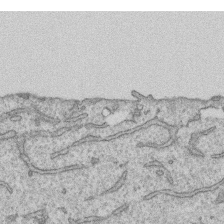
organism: Human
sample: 1205lu cells